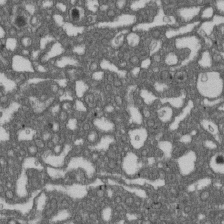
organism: Drosophila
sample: Nephrocyte